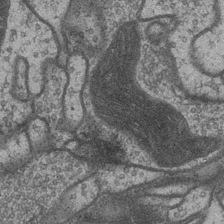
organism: Drosophila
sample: Optic medulla